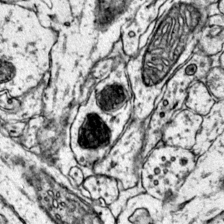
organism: Mouse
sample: Primary visual cortex